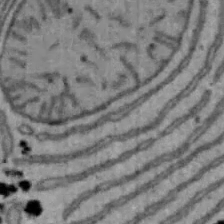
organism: Mouse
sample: Liver